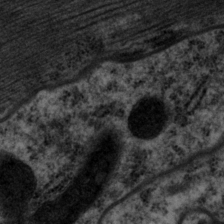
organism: P. pacificus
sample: Pharynx